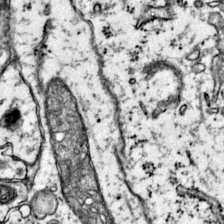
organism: Mouse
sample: Primary visual cortex